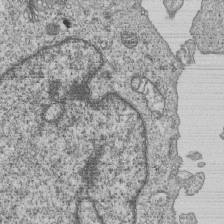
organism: Human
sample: MDA-MB-231 cells